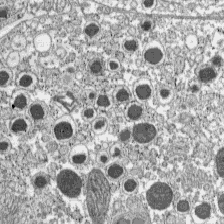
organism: C57BL Mouse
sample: Pancreatic islet